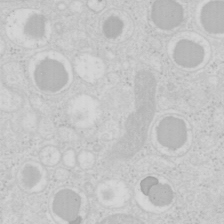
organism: Mouse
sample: Pancreas